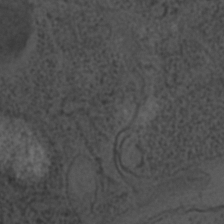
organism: C. elegans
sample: C. elegans embryo